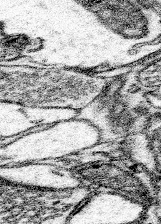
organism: Mouse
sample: Somatosensory cortex neuropil